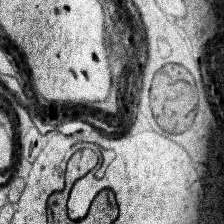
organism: Human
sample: Temporal Lobe